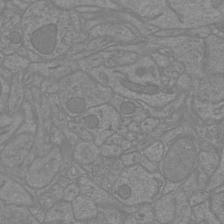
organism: Mouse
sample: Cortical neurons